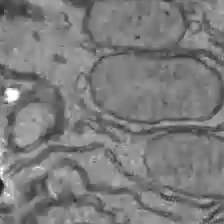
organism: C57BL Mouse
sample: Liver